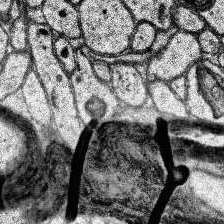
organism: Human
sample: Temporal Lobe